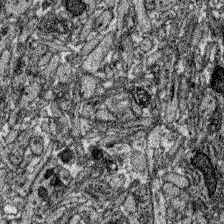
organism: Zebrafish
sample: Larval olfactory bulb